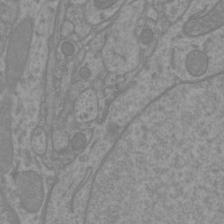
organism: Mouse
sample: Cortical neurons